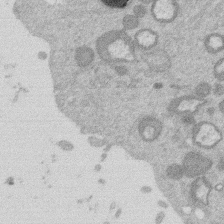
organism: Mouse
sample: Dividing mouse embryo 1 cell stage